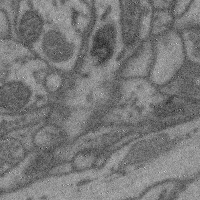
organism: Mouse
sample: Cerebral cortex